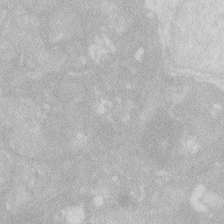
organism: Zebrafish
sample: Macrophage